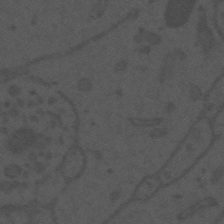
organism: Mouse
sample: Suprachiasmatic nucleus